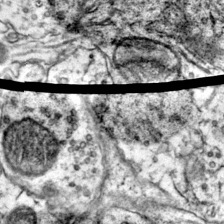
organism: Mouse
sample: Primary visual cortex